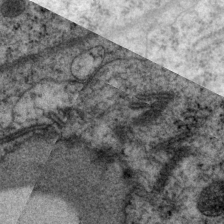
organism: P. pacificus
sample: Pharynx